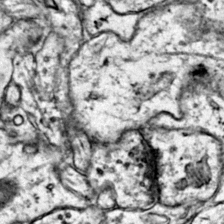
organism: Mouse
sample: Primary visual cortex